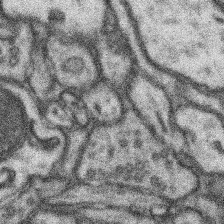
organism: Mouse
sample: Somatosensory cortex neuropil